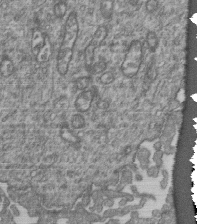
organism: Human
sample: Retinal organoid Rod and Cone cells